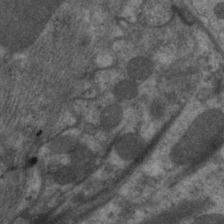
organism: C. elegans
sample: Pharynx